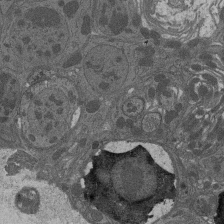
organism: Drosophila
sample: Antenna